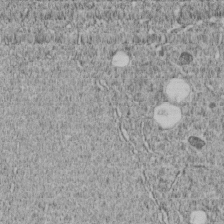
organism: C. elegans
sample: C. elegans embryo early stage